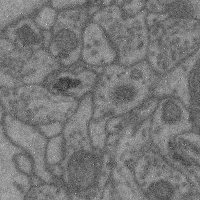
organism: Mouse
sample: Cerebral cortex